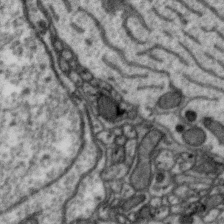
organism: Zebra finch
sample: Brain